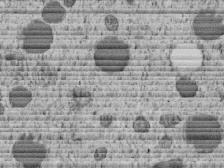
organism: C. elegans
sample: C. elegans embryo early stage